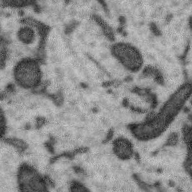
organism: Zebra finch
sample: Brain